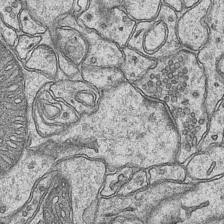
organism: Mouse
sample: CA1 Hippocampus